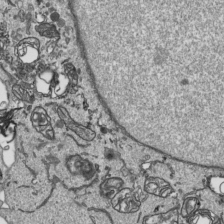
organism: Human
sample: Mitochondria in HCT116 cells